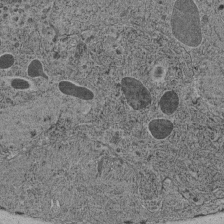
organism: C. elegans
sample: C. elegans pharynx